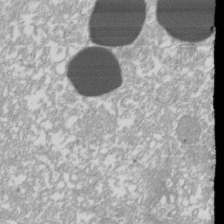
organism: Xenopus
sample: Cilia; centrioles in frog embryo cells